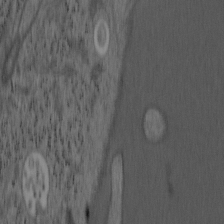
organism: Human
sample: HeLa cells